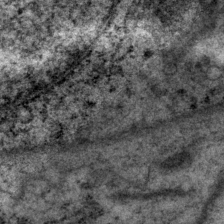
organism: P. pacificus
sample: Pharynx